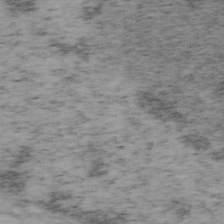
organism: Mouse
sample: OT-I killer T cells with ID8 ovarian cancer cells